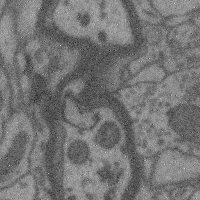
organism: Mouse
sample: Cerebral cortex